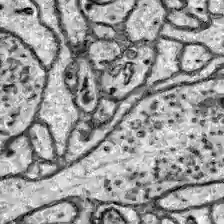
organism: Zebrafish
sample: Brain